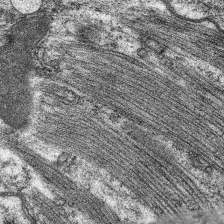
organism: C. elegans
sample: Pharynx